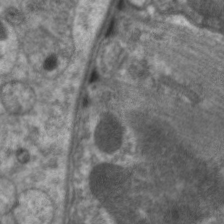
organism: C. elegans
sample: Pharynx